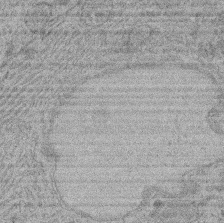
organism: Rat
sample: Salivary granule